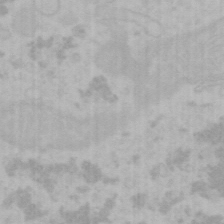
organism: Mouse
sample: Choroid plexus